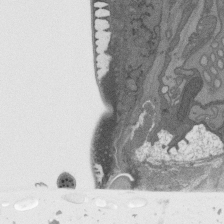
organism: C. elegans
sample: AFD neurons C. elegans